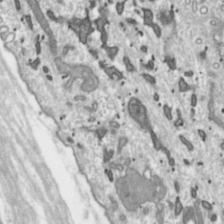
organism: Toxoplasma gondii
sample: Parasites in a vacuole inside a host cell